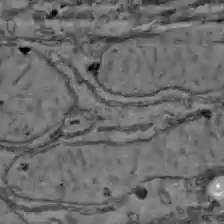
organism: C57BL Mouse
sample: Liver